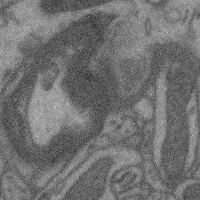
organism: Mouse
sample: Cerebral cortex